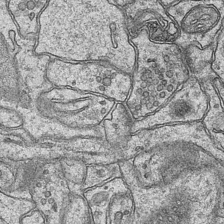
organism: Mouse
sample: CA1 Hippocampus